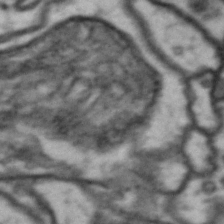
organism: Drosophila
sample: Brain